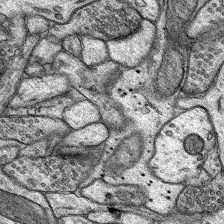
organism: Rat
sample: Hippocampus